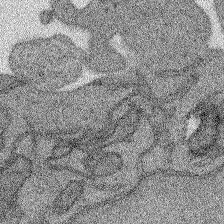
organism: Human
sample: HeLa cells